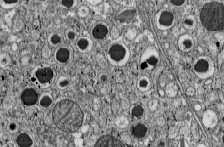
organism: C57BL Mouse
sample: Pancreatic islet